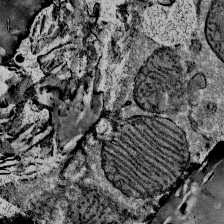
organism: Mouse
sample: Mouse Salivary gland